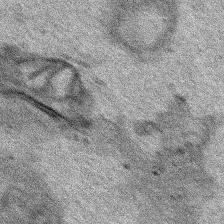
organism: Human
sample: Mitochondria in HCT116 cells